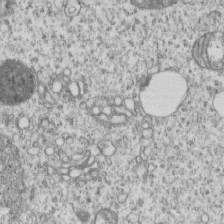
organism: Human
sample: MDA-MB-231 cells